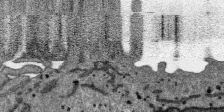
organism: Human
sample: Lung epithelial cells, uninfected (mock) control